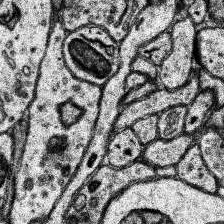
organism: Human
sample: Temporal Lobe